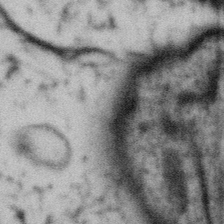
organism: Gemmata obscuriglobus